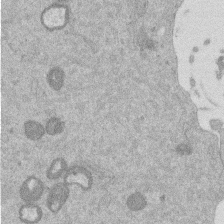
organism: Mouse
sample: Dividing mouse embryo 1 cell stage